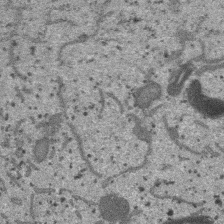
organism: Human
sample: Lung epithelial cells infected with SARS-CoV-2